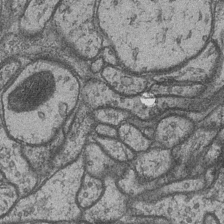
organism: Drosophila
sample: Optic medulla